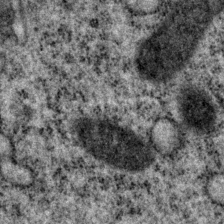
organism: P. pacificus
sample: Pharynx